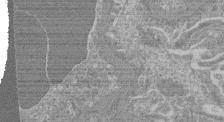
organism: Mouse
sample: Glomerulus